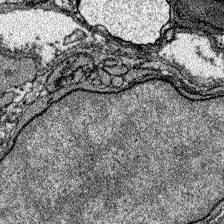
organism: Zebrafish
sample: Larval olfactory bulb